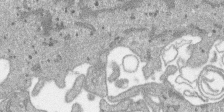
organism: Human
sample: Lung epithelial cells infected with SARS-CoV-2